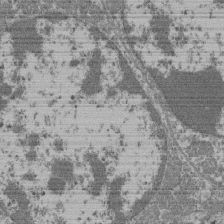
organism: Mouse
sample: Glomerulus